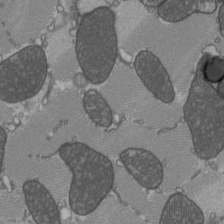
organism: C57BL Mouse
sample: Heart